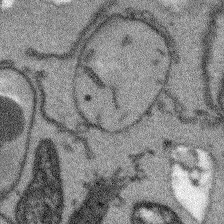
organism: Arabidopsis thaliana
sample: Root tip